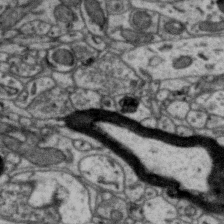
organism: Zebra finch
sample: Brain